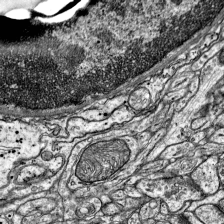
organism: Mouse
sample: Visual Cortex